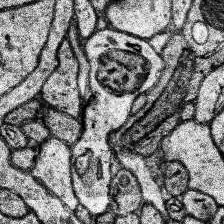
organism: Human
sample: Temporal Lobe